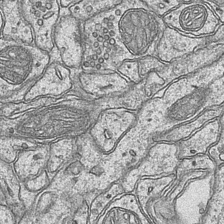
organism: Mouse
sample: CA1 Hippocampus